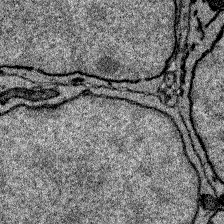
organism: Zebrafish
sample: Larval olfactory bulb